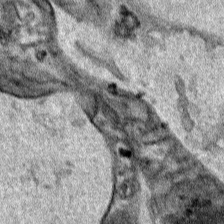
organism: Human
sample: Mitochondria in HCT116 cells